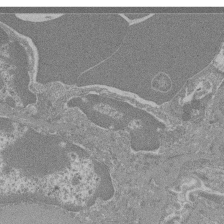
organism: Mouse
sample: Glomerulus